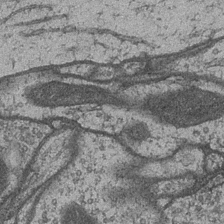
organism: Drosophila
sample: Optic medulla